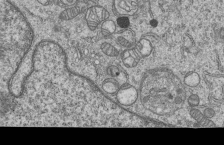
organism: Human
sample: MDA-MB-231 cells